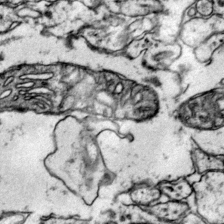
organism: Mouse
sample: Primary visual cortex